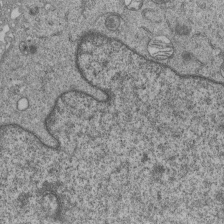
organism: Human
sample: MDA-MB-231 cells